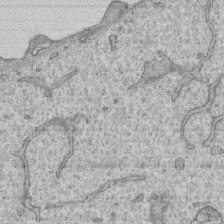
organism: Human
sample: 1205lu cells